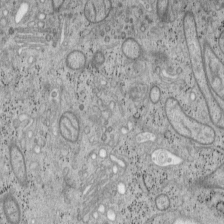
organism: Mouse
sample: OT-I killer T cells with ID8 ovarian cancer cells